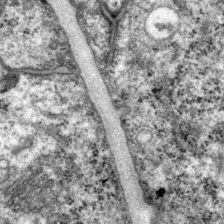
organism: P. pacificus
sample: Pharynx